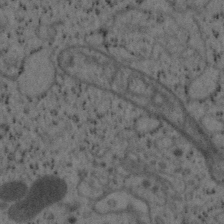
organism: Human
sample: HeLa cells